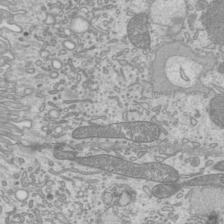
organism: Mouse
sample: Cilia; mouse epididymis